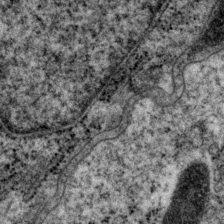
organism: P. pacificus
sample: Pharynx